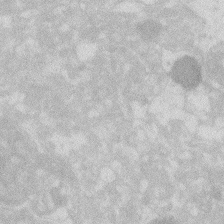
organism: Zebrafish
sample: Macrophage